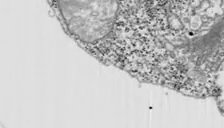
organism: Chlamydomonas reinhardtii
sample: Whole Cell